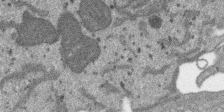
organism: Human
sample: Lung epithelial cells infected with SARS-CoV-2